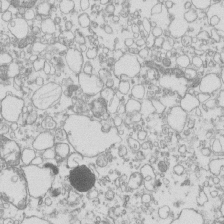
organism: Mouse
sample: Macrophages